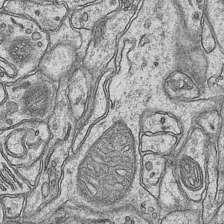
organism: Mouse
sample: CA1 Hippocampus